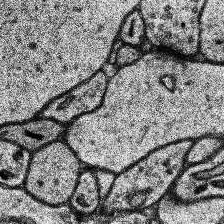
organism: Human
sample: Temporal Lobe